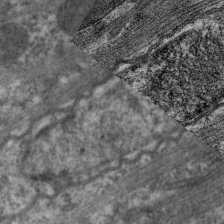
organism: C. elegans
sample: Pharynx